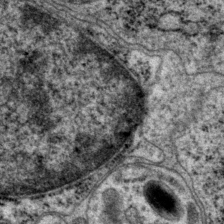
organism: P. pacificus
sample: Pharynx